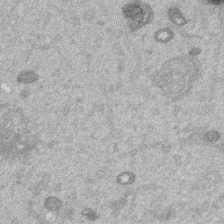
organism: Mouse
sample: Dividing mouse embryo 1 cell stage